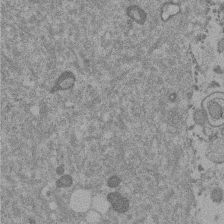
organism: Mouse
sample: Dividing mouse embryo 1 cell stage